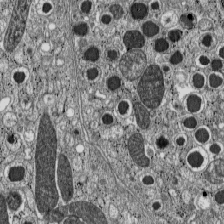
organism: C57BL Mouse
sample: Pancreatic islet